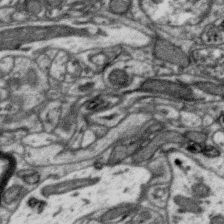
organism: Zebra finch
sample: Brain